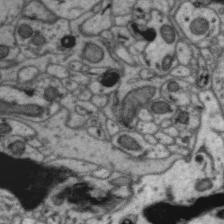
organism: Zebra finch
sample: Brain